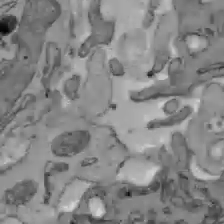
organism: C57BL Mouse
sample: Liver